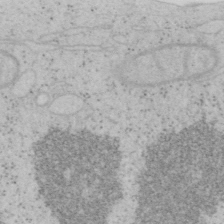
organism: Human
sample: HeLa cells